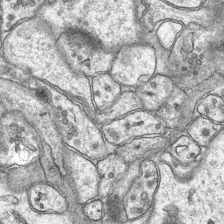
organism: Mouse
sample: CA1 Hippocampus